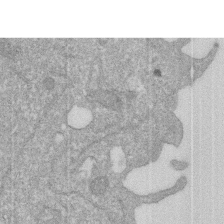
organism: Human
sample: HIV infected U937 cells